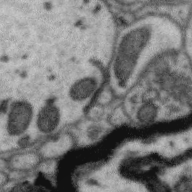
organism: Zebra finch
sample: Brain